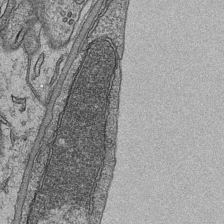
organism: Mouse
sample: CA1 Hippocampus